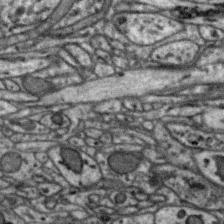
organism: Zebra finch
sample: Brain